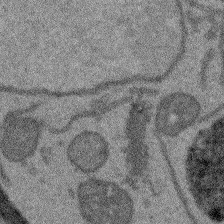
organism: Arabidopsis thaliana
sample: Root tip